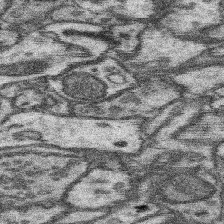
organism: Mouse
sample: Somatosensory cortex neuropil